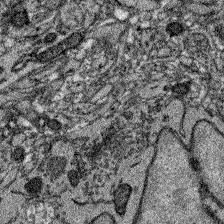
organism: Zebrafish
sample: Larval olfactory bulb